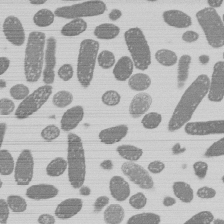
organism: E. coli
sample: Bacterial nucleoid